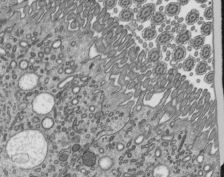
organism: Mouse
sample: Mouse epididymis efferent ductule cilia